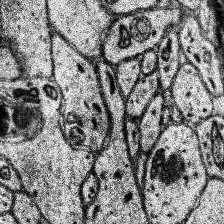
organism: Human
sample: Temporal Lobe